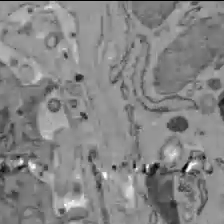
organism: C57BL Mouse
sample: Liver